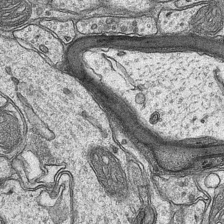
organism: Mouse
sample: CA1 Hippocampus